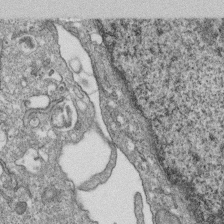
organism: African green monkey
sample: Vero E6 cells infected with SARS-CoV-2